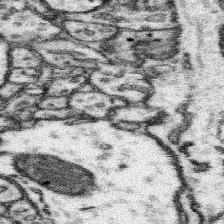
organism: Mouse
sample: Somatosensory cortex neuropil